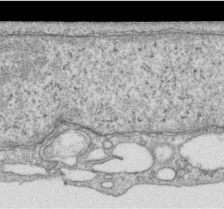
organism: Human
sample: Centriole in RPE cells